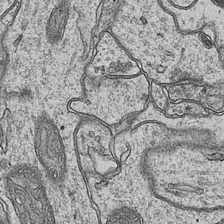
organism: Mouse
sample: CA1 Hippocampus